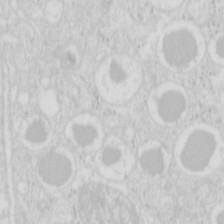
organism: Mouse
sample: Pancreas